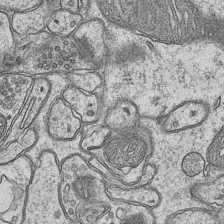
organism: Mouse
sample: CA1 Hippocampus